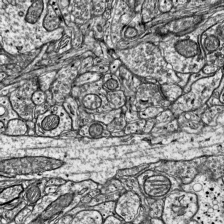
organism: Mouse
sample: Visual Cortex